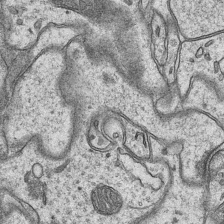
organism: Mouse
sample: CA1 Hippocampus